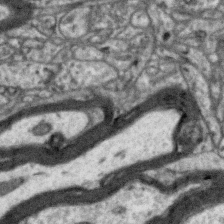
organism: Zebra finch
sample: Brain